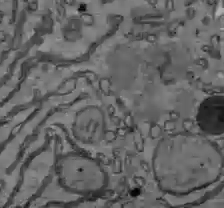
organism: C57BL Mouse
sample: Liver